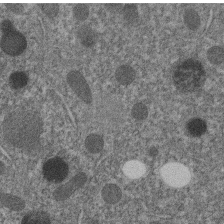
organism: C. elegans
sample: C. elegans embryo early stage